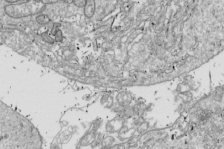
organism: Drosophila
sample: Cell division; meiosis; drosophila spermatocytes